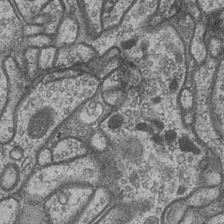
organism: Drosophila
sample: Optic medulla